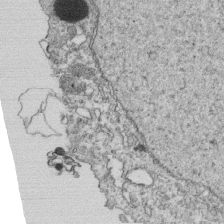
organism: Human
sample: HeLa cell HIV synapse